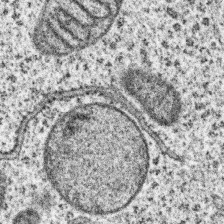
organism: Human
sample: HeLa cells